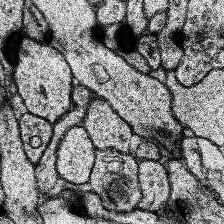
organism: Human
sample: Temporal Lobe